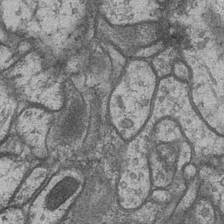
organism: Drosophila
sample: Optic medulla